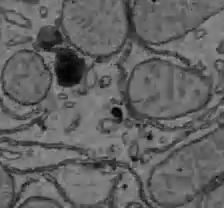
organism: C57BL Mouse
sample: Liver